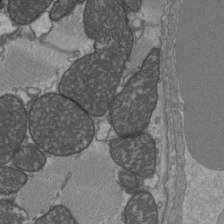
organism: C57BL Mouse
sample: Heart